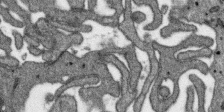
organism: Human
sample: Lung epithelial cells, uninfected (mock) control